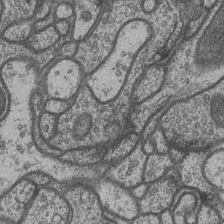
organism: Drosophila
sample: Optic medulla